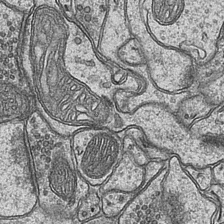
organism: Mouse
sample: CA1 Hippocampus